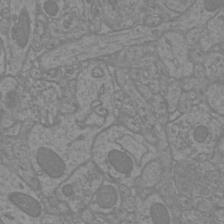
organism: Mouse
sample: Cortical neurons